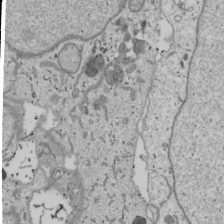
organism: Human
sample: Mitochondria in U2OS cells